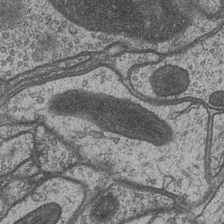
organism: Drosophila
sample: Optic medulla